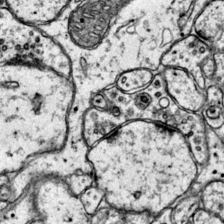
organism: Mouse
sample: Primary visual cortex